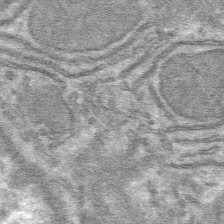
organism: Mouse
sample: Mouse hepatocytes